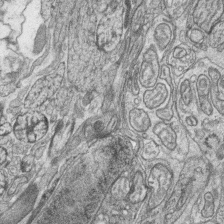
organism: Zebrafish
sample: synaptic ribbons in rod cells and cone cells